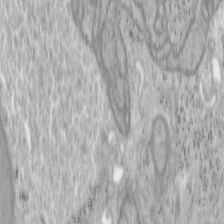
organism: Human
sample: HeLa cells